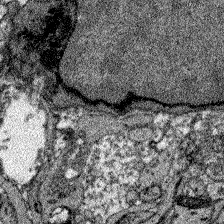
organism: Zebrafish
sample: Larval olfactory bulb